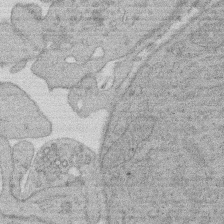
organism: Rat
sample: Salivary granule